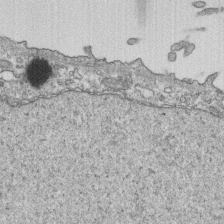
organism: Human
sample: HeLa cell HIV synapse